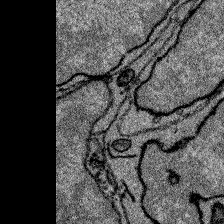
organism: Zebrafish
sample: Larval olfactory bulb